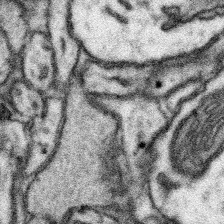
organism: Mouse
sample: Somatosensory cortex neuropil